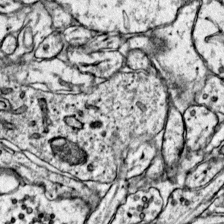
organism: Mouse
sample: Primary visual cortex